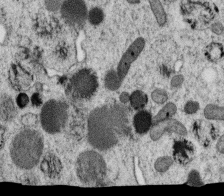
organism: C. elegans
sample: C. elegans oocyte; sperm cells